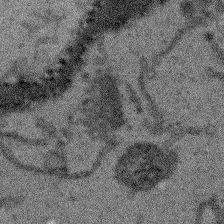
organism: Arabidopsis thaliana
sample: Root tip